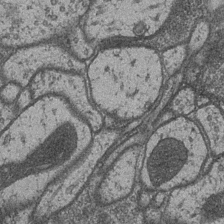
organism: Drosophila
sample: Optic medulla